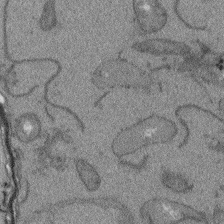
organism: Arabidopsis thaliana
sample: Root tip